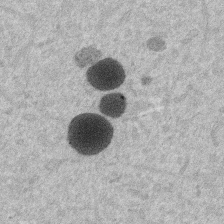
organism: Mouse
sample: Dividing mouse embryo 1 cell stage